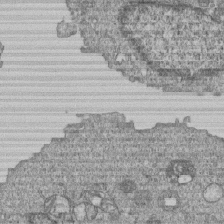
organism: Human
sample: MDA-MB-231 cells